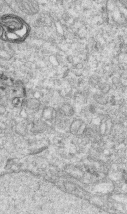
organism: Human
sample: HeLa cell HIV synapse